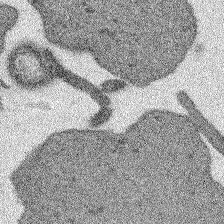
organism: Human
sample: HeLa cells